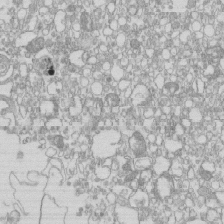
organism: Mouse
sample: Macrophages